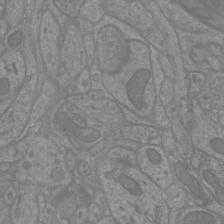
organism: Mouse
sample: Cortical neurons